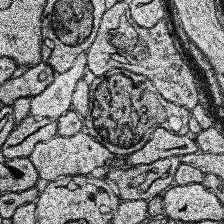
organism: Human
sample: Temporal Lobe